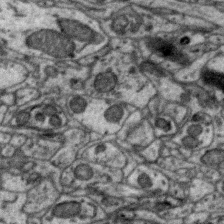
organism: Zebra finch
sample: Brain